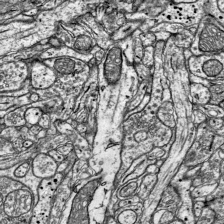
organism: Mouse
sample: Visual Cortex